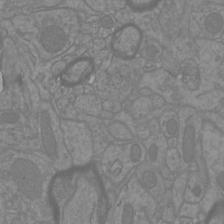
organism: Mouse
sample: Cortical neurons